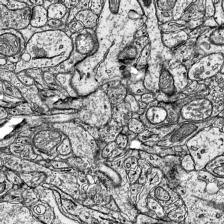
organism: Mouse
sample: Visual Cortex